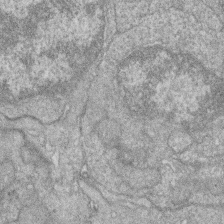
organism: Zebrafish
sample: Cilia; retinal pigment epithelium